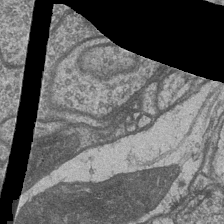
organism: Drosophila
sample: Optic medulla